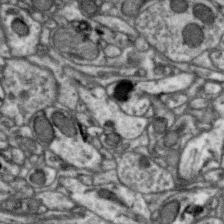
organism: Zebra finch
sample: Brain